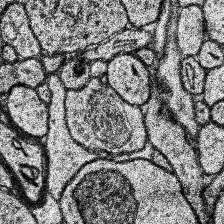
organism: Human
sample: Temporal Lobe